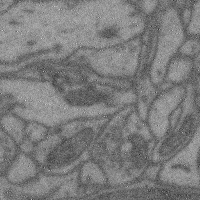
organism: Mouse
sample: Cerebral cortex